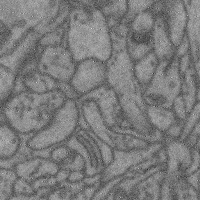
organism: Mouse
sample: Cerebral cortex